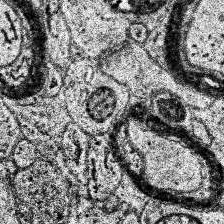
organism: Human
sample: Temporal Lobe